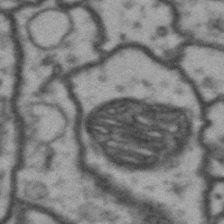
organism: Drosophila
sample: Brain